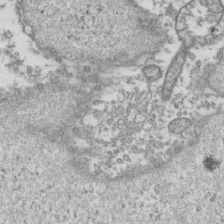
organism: Human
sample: Activated Jurkat CD4+ T cells